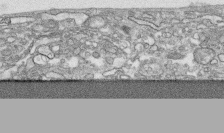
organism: Human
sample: CRL-1474